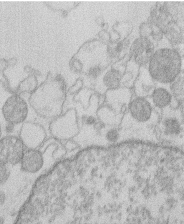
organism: Human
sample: Macrophage cells